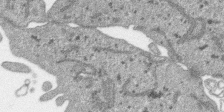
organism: Human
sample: Lung epithelial cells infected with SARS-CoV-2